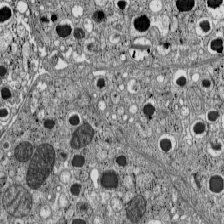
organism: C57BL Mouse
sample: Pancreatic islet